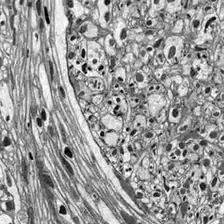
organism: Drosophila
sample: Optic lobe